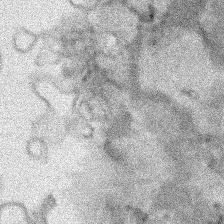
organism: Human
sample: Mitochondria in HCT116 cells